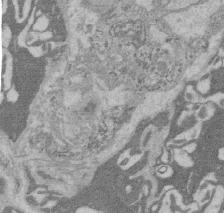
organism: Rat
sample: Salivary granule